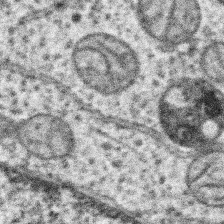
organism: Human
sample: HeLa cells